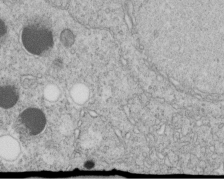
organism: C. elegans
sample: C. elegans embryo early stage